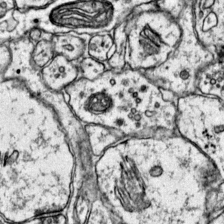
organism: Mouse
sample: Primary visual cortex